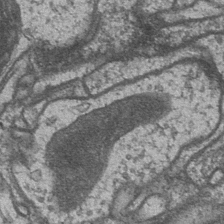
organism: Drosophila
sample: Optic medulla